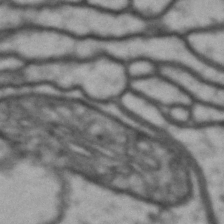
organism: Drosophila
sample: Brain